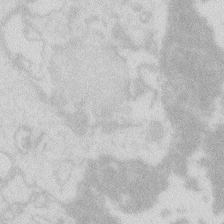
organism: Zebrafish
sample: Macrophage